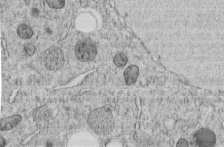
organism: C. elegans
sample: C. elegans embryo early stage